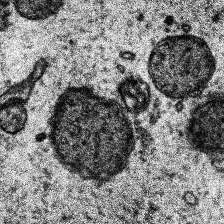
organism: Human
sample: Temporal Lobe